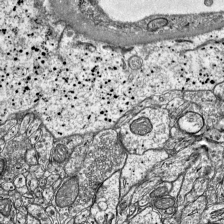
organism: Mouse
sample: Visual Cortex